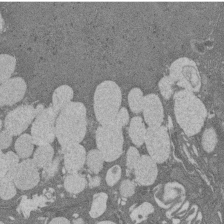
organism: Rat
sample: Salivary granule